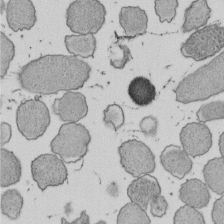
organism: E. coli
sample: Bacterial nucleoid